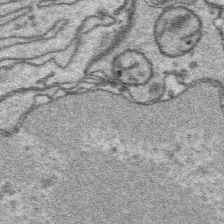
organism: Platynereis dumerilii